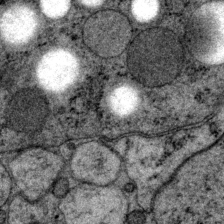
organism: P. pacificus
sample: Pharynx